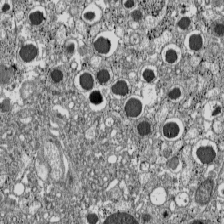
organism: C57BL Mouse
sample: Pancreatic islet